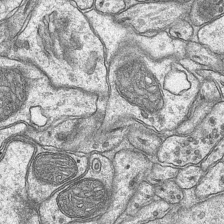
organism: Mouse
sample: CA1 Hippocampus